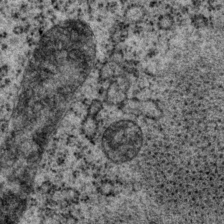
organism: P. pacificus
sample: Pharynx